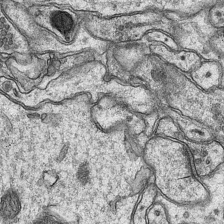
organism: Mouse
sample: CA1 Hippocampus